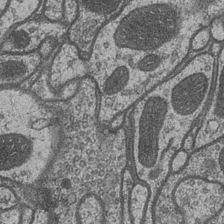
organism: Drosophila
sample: Optic medulla